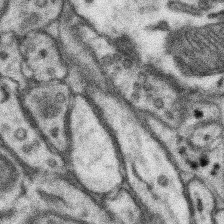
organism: Mouse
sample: Somatosensory cortex neuropil